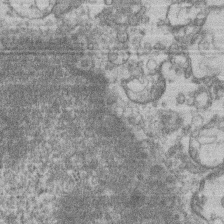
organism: Mouse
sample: T cell stromal cell synapse